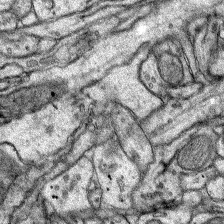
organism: Rat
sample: Hippocampus